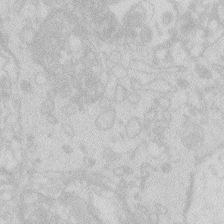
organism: Zebrafish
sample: Macrophage